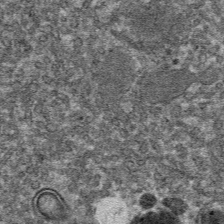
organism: Mouse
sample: Mouse hepatocytes